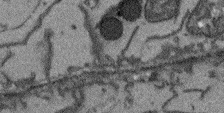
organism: Arabidopsis thaliana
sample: Root tip